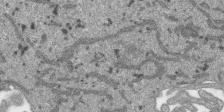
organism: Human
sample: Lung epithelial cells infected with SARS-CoV-2